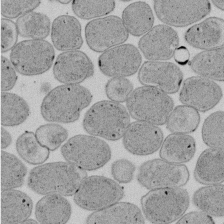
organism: E. coli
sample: Bacterial nucleoid